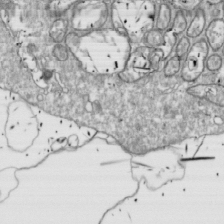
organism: Drosophila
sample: Cell division; meiosis; drosophila spermatocytes